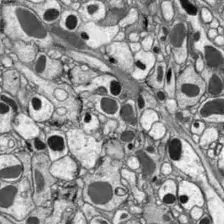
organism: Drosophila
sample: Optic lobe